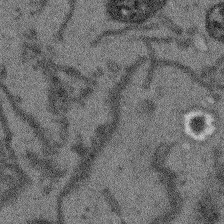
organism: Arabidopsis thaliana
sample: Root tip